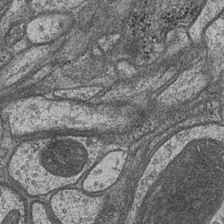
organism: Drosophila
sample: Optic medulla